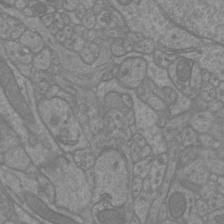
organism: Mouse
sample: Cortical neurons